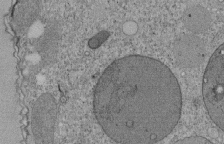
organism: Tetrahymena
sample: Cilia in tetrahymena